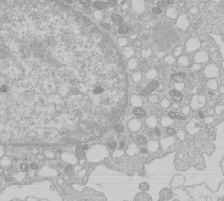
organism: Human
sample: Macrophage cells